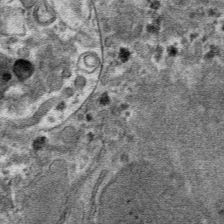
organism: Mouse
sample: Mouse hepatocytes